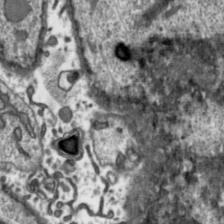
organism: Toxoplasma gondii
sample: Parasites in a vacuole inside a host cell